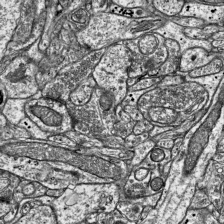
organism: Mouse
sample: Visual Cortex